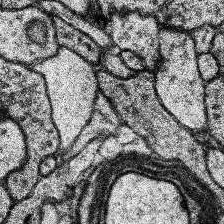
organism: Human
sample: Temporal Lobe